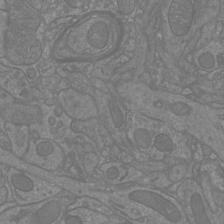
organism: Mouse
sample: Cortical neurons